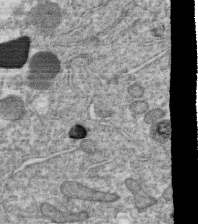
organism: C. elegans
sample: C. elegans oocyte; sperm cells